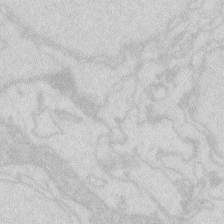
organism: Zebrafish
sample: Macrophage